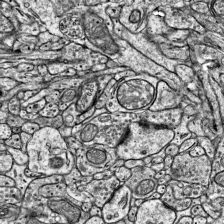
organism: Mouse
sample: Visual Cortex